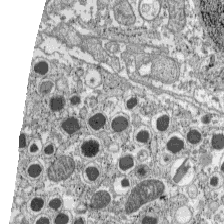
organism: C57BL Mouse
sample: Pancreatic islet